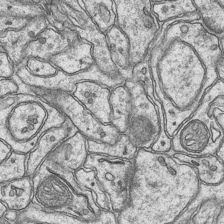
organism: Mouse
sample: CA1 Hippocampus